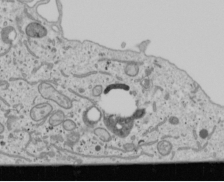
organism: Human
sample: Mitochondria in U2OS cells